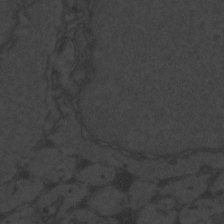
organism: Zebrafish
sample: Macrophage infected with Toxoplasma gondii